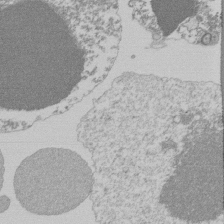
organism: Mouse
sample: Activated Pmel transgenic CD8+ T Cells